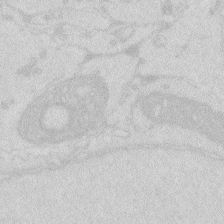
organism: Zebrafish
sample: Macrophage